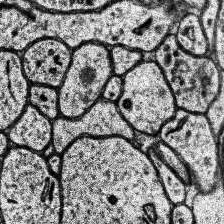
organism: Human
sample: Temporal Lobe